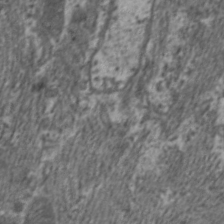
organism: C. elegans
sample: Pharynx